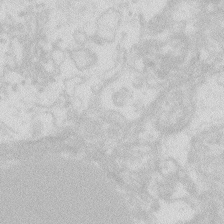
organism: Zebrafish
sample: Macrophage